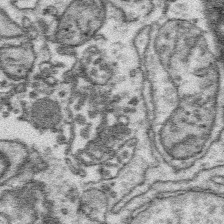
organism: Platynereis dumerilii